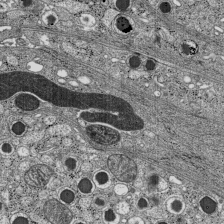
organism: C57BL Mouse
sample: Pancreatic islet